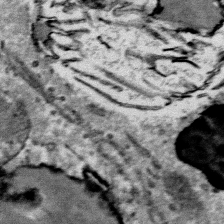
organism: Mouse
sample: Mouse Salivary gland